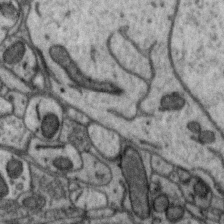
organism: Zebra finch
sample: Brain